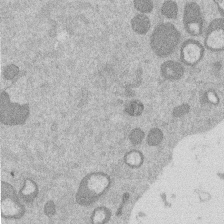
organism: Mouse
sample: Dividing mouse embryo 1 cell stage